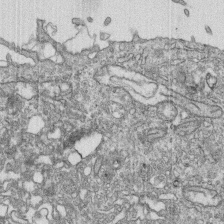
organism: Human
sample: HeLa cell HIV synapse